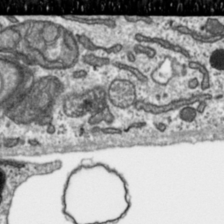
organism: Toxoplasma gondii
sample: Parasites in a vacuole inside a host cell